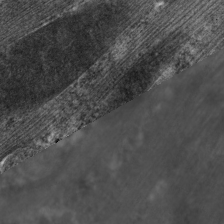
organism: C. elegans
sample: Pharynx